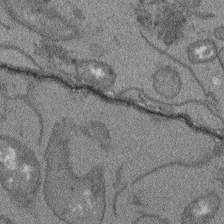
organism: Arabidopsis thaliana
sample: Root tip